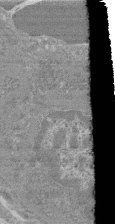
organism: Mouse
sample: Glomerulus